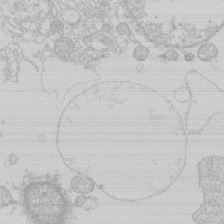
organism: Human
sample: Macrophage cells